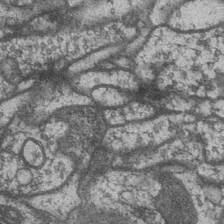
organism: Drosophila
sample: Optic medulla